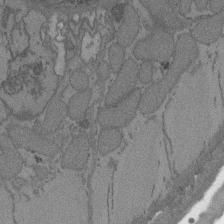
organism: C. elegans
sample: AFD neurons C. elegans